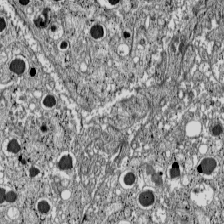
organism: C57BL Mouse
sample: Pancreatic islet